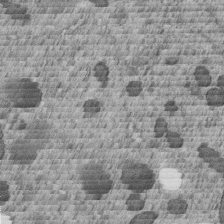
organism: C. elegans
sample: C. elegans embryo early stage